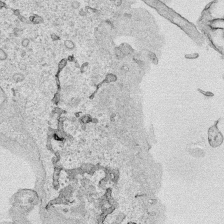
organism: Human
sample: Mitochondria in HCT116 cells